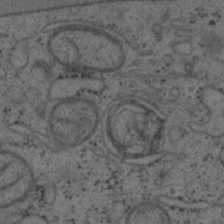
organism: Human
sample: HeLa cells